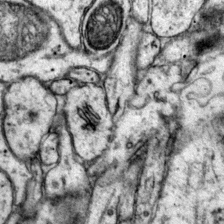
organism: Mouse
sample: Primary visual cortex